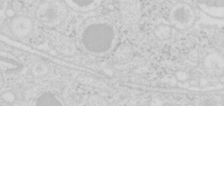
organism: Mouse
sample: Pancreas